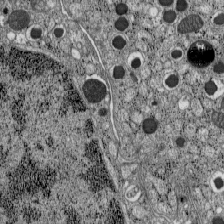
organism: C57BL Mouse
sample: Pancreatic islet